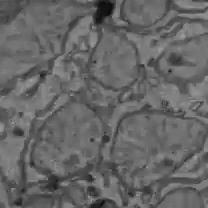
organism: C57BL Mouse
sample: Liver